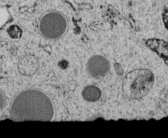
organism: C. elegans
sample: C. elegans embryo early stage